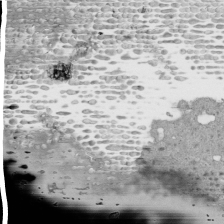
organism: Human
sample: Mitochondria in HCT116 cells